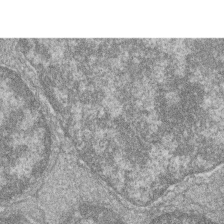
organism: Zebrafish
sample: Cilia; retinal pigment epithelium